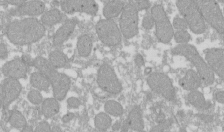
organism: Xenopus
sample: Cilia; centrioles in frog embryo cells